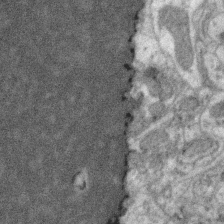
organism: Zebra finch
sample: Brain